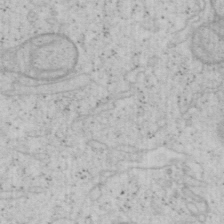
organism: Human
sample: HeLa cells